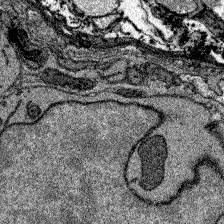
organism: Zebrafish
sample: Larval olfactory bulb